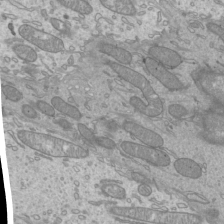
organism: Mouse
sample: Cilia; mouse epididymis